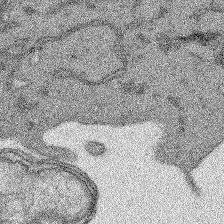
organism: Human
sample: HeLa cells